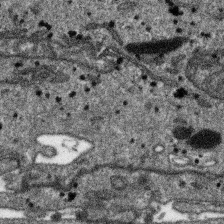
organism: Human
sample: Lung epithelial cells infected with SARS-CoV-2